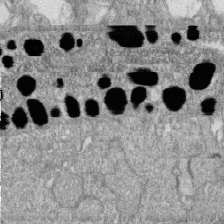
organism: Zebrafish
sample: Cilia; retinal pigment epithelium